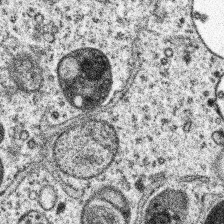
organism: Human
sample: HeLa cells